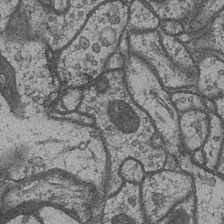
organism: Drosophila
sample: Optic medulla